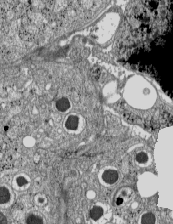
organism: C57BL Mouse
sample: Pancreatic islet